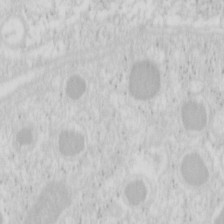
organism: Mouse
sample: Pancreas